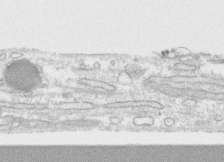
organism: Human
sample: CRL-1474